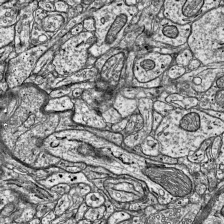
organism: Mouse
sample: Visual Cortex